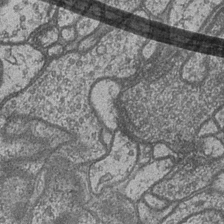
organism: Drosophila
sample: Optic medulla